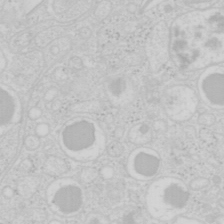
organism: Mouse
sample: Pancreas